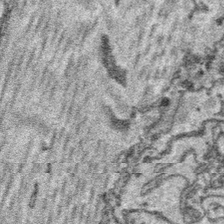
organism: Platynereis dumerilii